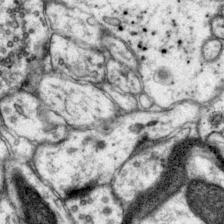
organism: Mouse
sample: Primary visual cortex